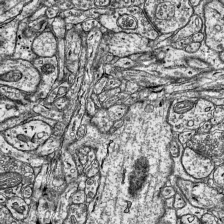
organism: Mouse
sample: Visual Cortex